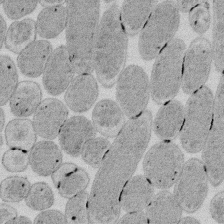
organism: E. coli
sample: Bacterial nucleoid